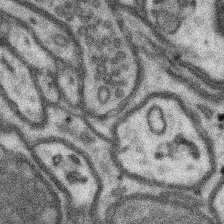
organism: Mouse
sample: Somatosensory cortex neuropil